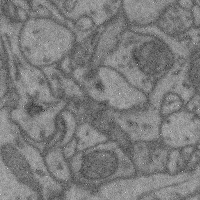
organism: Mouse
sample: Cerebral cortex